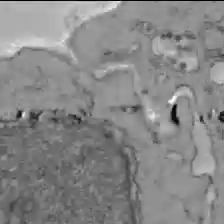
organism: C57BL Mouse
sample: Liver